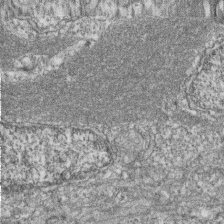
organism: Zebrafish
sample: Cilia; retinal pigment epithelium